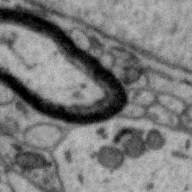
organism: Zebra finch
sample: Brain